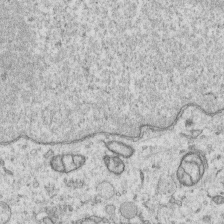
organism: Human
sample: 1205lu cells